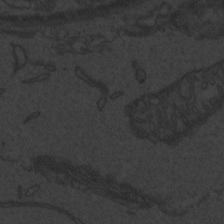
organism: Zebrafish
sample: Macrophage infected with Toxoplasma gondii